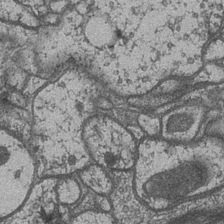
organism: Drosophila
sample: Optic medulla